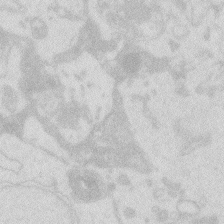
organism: Zebrafish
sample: Macrophage